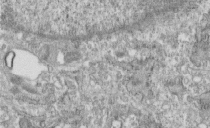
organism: Human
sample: Centriole in fibroblast cells